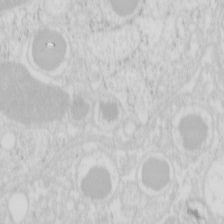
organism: Mouse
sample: Pancreas